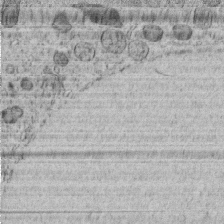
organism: C. elegans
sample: C. elegans embryo early stage